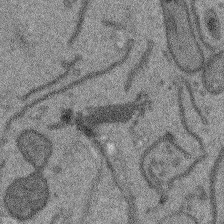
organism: Arabidopsis thaliana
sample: Root tip